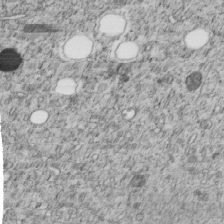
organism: C. elegans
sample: C. elegans embryo early stage